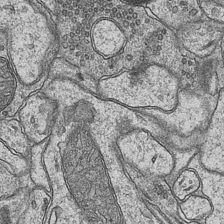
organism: Mouse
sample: CA1 Hippocampus